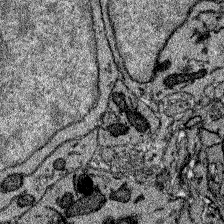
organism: Zebrafish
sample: Larval olfactory bulb